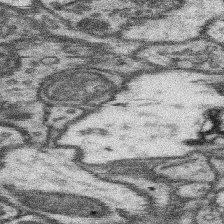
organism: Mouse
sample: Somatosensory cortex neuropil